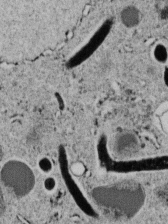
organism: C. elegans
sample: C. elegans embryo early stage